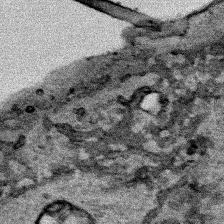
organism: Human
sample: Mitochondria in HCT116 cells